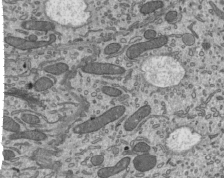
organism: Mouse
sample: Mouse epididymis efferent ductule cilia